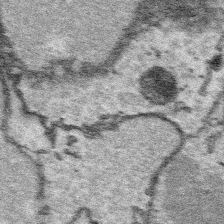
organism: Platynereis dumerilii